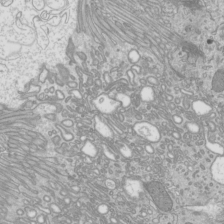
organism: Mouse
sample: Cilia; mouse epididymis